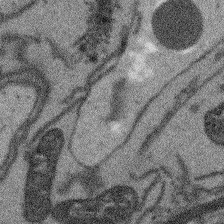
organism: Arabidopsis thaliana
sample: Root tip